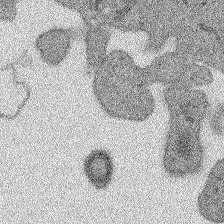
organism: Human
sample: HeLa cells